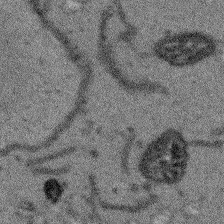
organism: Arabidopsis thaliana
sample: Root tip